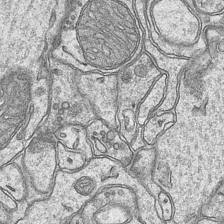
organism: Mouse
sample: CA1 Hippocampus